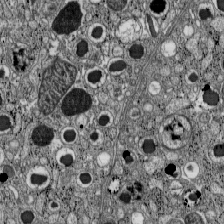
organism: C57BL Mouse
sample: Pancreatic islet